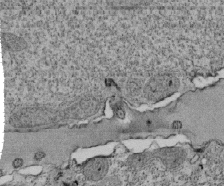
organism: Tetrahymena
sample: Cilia in tetrahymena